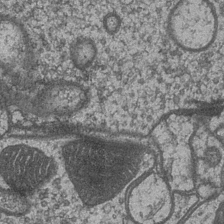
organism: Drosophila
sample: Optic medulla